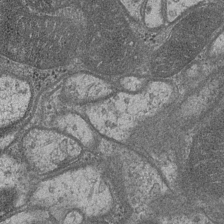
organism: Drosophila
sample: Optic medulla